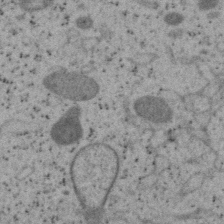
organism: Human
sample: HeLa cells